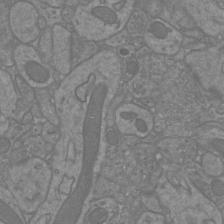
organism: Mouse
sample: Cortical neurons